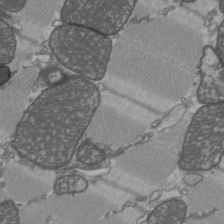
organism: C57BL Mouse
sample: Heart